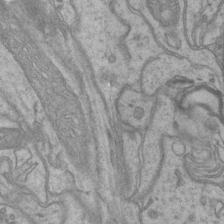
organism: Mouse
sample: CA1 Hippocampus